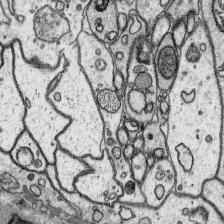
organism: Platynereis dumerilii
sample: Parapodia